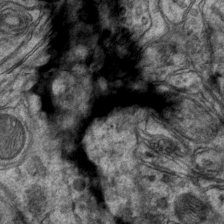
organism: Mouse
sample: CA1 Hippocampus